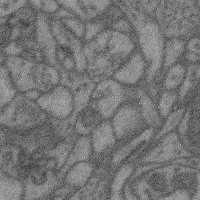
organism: Mouse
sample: Cerebral cortex